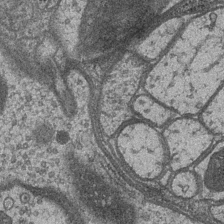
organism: Drosophila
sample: Optic medulla